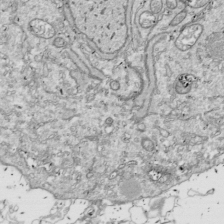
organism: Drosophila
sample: Cell division; meiosis; drosophila spermatocytes